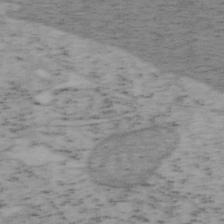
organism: Mouse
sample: OT-I killer T cells with ID8 ovarian cancer cells